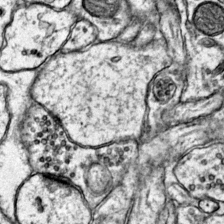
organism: Mouse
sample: Primary visual cortex